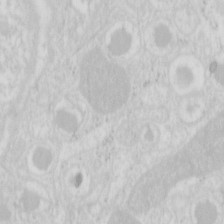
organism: Mouse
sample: Pancreas